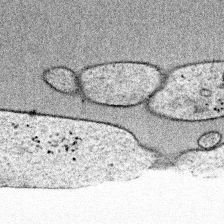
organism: Human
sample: HeLa cells